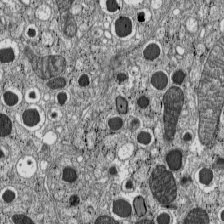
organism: C57BL Mouse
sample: Pancreatic islet